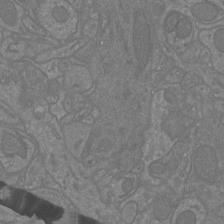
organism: Mouse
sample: Cortical neurons